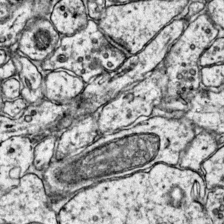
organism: Mouse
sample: Primary visual cortex